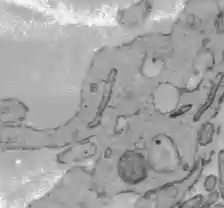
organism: C57BL Mouse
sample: Liver